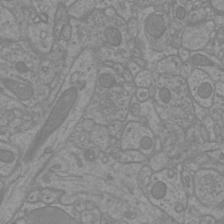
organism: Mouse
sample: Cortical neurons